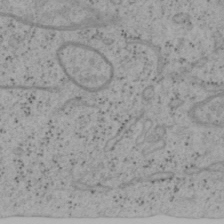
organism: Human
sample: HeLa cells